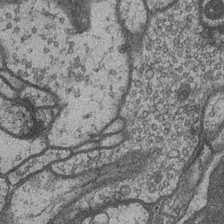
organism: Drosophila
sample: Optic medulla